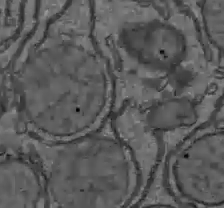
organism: C57BL Mouse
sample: Liver